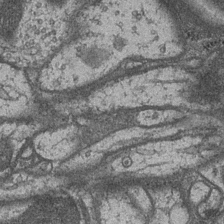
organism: Drosophila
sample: Optic medulla